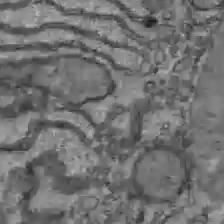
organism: C57BL Mouse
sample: Liver